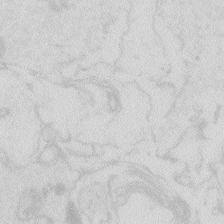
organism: Zebrafish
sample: Macrophage